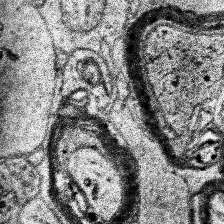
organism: Human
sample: Temporal Lobe